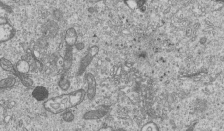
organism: Human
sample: MDA-MB-231 cells